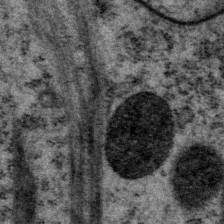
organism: P. pacificus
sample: Pharynx